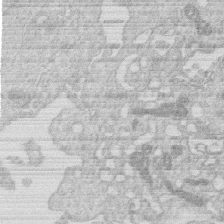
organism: Human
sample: Macrophage cells